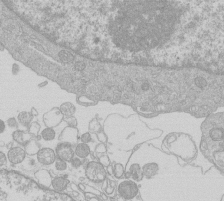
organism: Human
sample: Macrophage cells